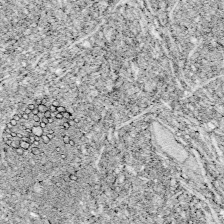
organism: Zebrafish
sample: Whole-Brain